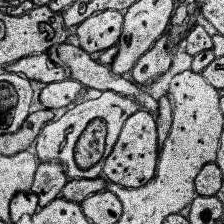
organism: Human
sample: Temporal Lobe